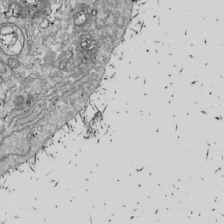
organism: Drosophila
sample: Cell division; meiosis; drosophila spermatocytes